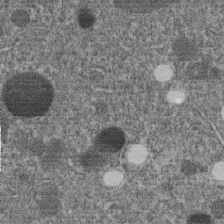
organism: C. elegans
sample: C. elegans embryo early stage